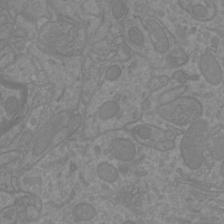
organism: Mouse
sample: Cortical neurons